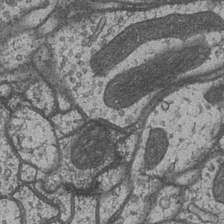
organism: Drosophila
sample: Optic medulla